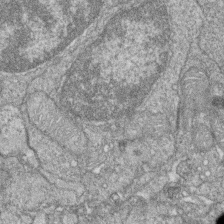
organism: Zebrafish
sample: Cilia; retinal pigment epithelium